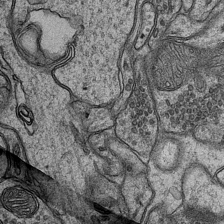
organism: Mouse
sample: CA1 Hippocampus